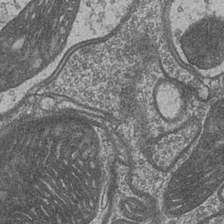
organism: Drosophila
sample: Optic medulla